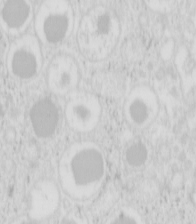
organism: Mouse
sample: Pancreas